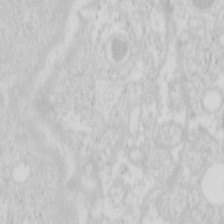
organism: Mouse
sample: Pancreas